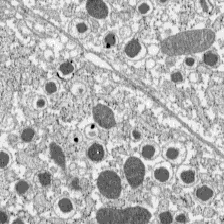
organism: C57BL Mouse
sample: Pancreatic islet